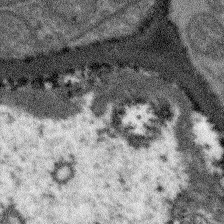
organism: Arabidopsis thaliana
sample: Root tip